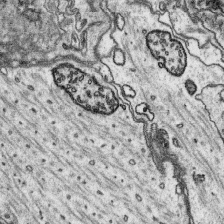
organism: Platynereis dumerilii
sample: Parapodia